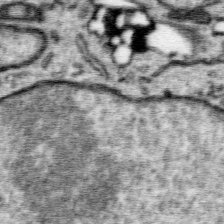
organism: Human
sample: HeLa cells